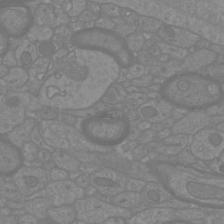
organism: Mouse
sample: Cortical neurons